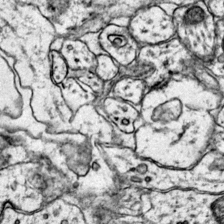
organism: Mouse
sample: Primary visual cortex